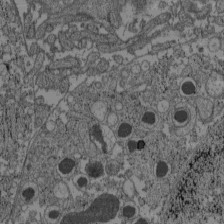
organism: C57BL Mouse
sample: Pancreatic islet